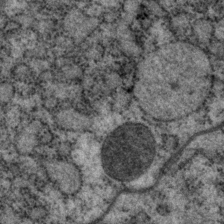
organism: P. pacificus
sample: Pharynx